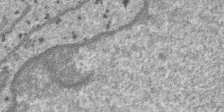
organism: Human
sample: Lung epithelial cells infected with SARS-CoV-2